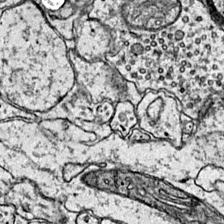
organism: Mouse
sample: Primary visual cortex